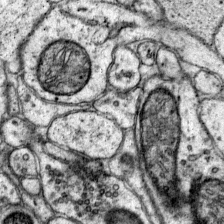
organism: Mouse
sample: Primary visual cortex